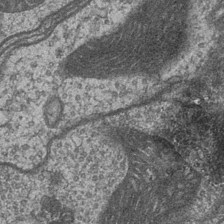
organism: Drosophila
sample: Optic medulla